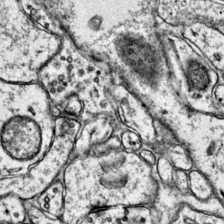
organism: Mouse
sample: Primary visual cortex